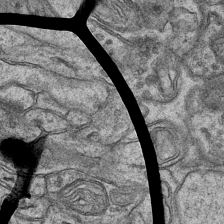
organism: Mouse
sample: CA1 Hippocampus